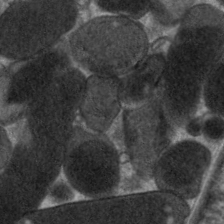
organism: C. elegans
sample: Pharynx